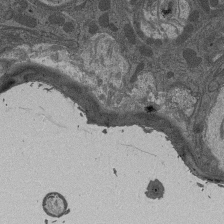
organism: Drosophila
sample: Antenna